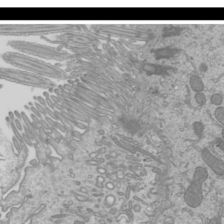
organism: Mouse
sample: Cilia; mouse epididymis